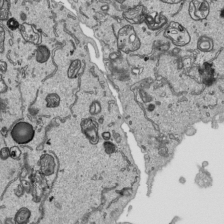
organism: Human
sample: Mitochondria in HCT116 cells